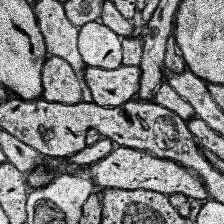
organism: Human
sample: Temporal Lobe